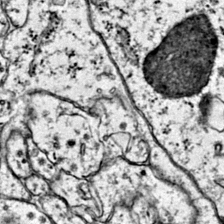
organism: Mouse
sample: Primary visual cortex